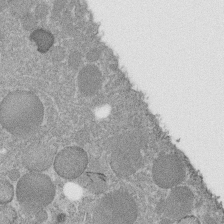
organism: C. elegans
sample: C. elegans embryo early stage